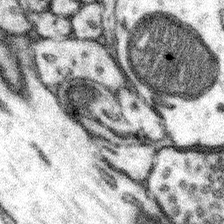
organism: Mouse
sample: Somatosensory cortex neuropil